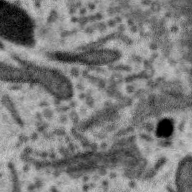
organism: Zebra finch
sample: Brain